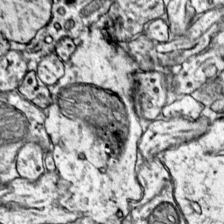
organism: Mouse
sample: Primary visual cortex